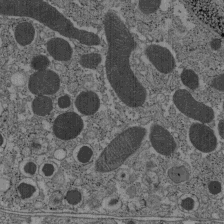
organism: C57BL Mouse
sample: Pancreatic islet